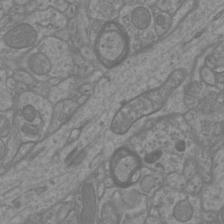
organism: Mouse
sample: Cortical neurons